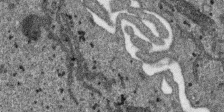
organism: Human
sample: Lung epithelial cells infected with SARS-CoV-2